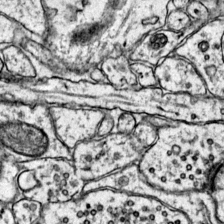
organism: Mouse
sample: Primary visual cortex